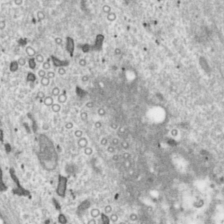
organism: Toxoplasma gondii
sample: Parasites in a vacuole inside a host cell